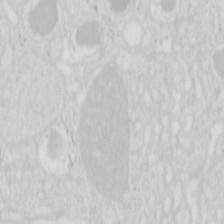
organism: Mouse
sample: Pancreas